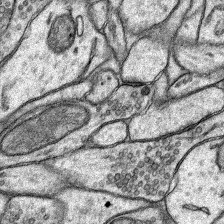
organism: Rat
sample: Hippocampus